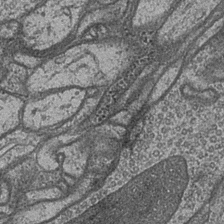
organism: Drosophila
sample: Optic medulla